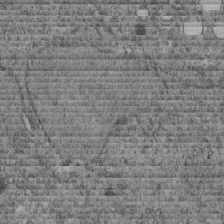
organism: C. elegans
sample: C. elegans embryo early stage